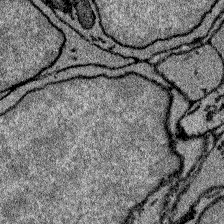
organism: Zebrafish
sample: Larval olfactory bulb